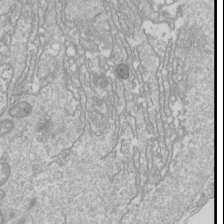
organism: Drosophila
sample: Cell division; meiosis; drosophila spermatocytes